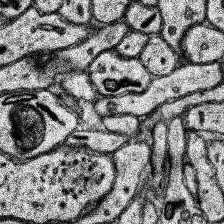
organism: Human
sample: Temporal Lobe